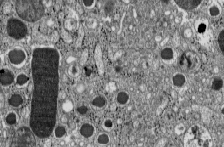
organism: C57BL Mouse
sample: Pancreatic islet